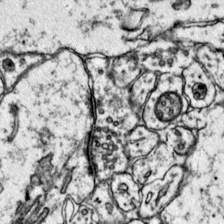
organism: Mouse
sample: Primary visual cortex